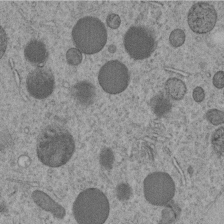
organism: C. elegans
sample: C. elegans embryo early stage